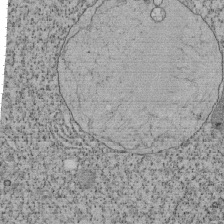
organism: Tetrahymena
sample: Cilia in tetrahymena